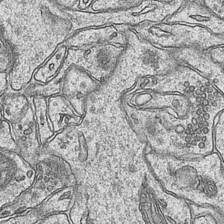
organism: Mouse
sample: CA1 Hippocampus